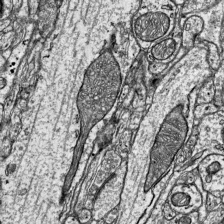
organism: Mouse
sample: Visual Cortex